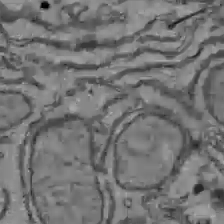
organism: C57BL Mouse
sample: Liver